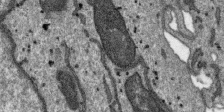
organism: Human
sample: Lung epithelial cells, uninfected (mock) control